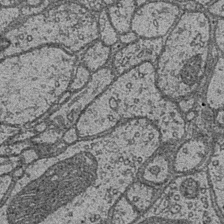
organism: Drosophila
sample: Optic medulla